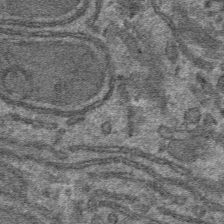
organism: Mouse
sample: Mouse hepatocytes